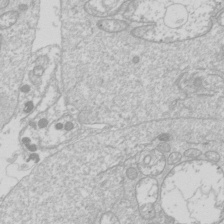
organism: Drosophila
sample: Cell division; meiosis; drosophila spermatocytes